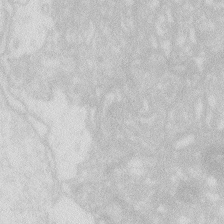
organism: Zebrafish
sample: Macrophage